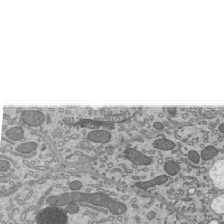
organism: Mouse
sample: Mouse epididymis efferent ductule cilia